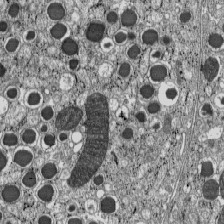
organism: C57BL Mouse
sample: Pancreatic islet